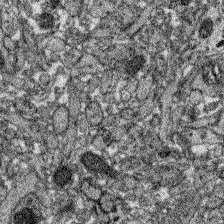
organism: Zebrafish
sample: Larval olfactory bulb